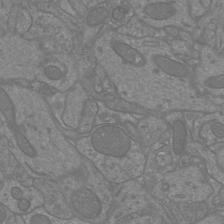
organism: Mouse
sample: Cortical neurons